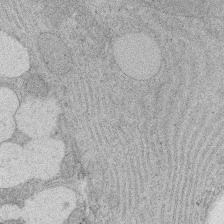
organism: Rat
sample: Salivary granule